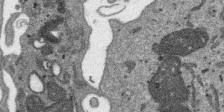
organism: Human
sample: Lung epithelial cells infected with SARS-CoV-2